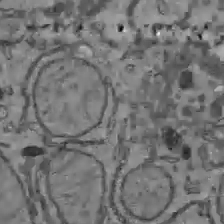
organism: C57BL Mouse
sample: Liver